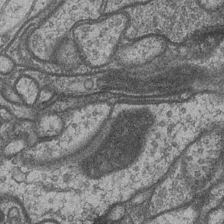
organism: Drosophila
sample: Optic medulla